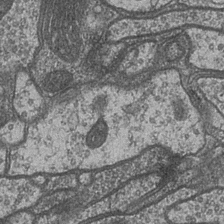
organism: Drosophila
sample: Optic medulla